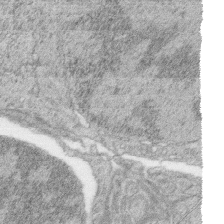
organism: Zebrafish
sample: synaptic ribbons in rod cells and cone cells